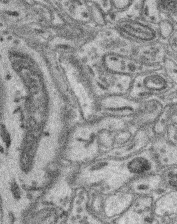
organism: Mouse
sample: Retina